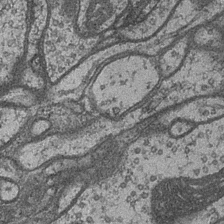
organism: Drosophila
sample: Optic medulla